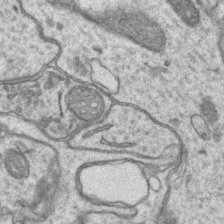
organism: Mouse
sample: CA1 Hippocampus